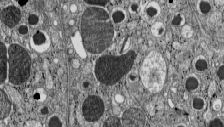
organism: C57BL Mouse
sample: Pancreatic islet